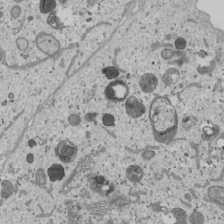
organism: Human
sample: Mitochondria in U2OS cells